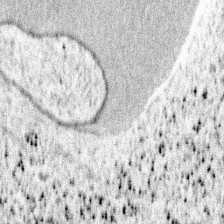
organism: Human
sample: HeLa cells